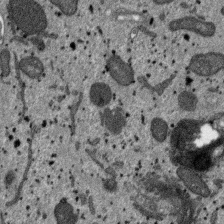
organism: Human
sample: Lung epithelial cells, uninfected (mock) control